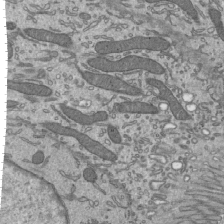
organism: Mouse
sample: Mouse epididymis efferent ductule cilia